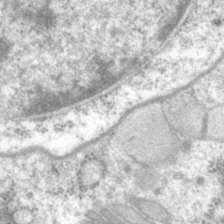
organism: P. pacificus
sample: Pharynx